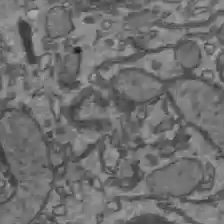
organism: C57BL Mouse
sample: Liver